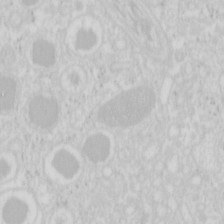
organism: Mouse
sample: Pancreas